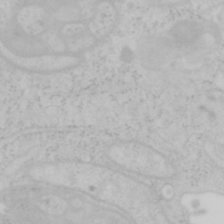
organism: Mouse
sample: OT-I killer T cells with ID8 ovarian cancer cells